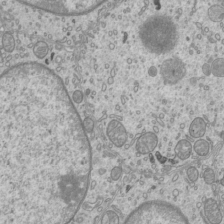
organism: Mouse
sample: Cilia; mouse epididymis